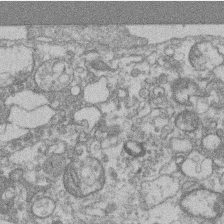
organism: Mouse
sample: T cell stromal cell synapse